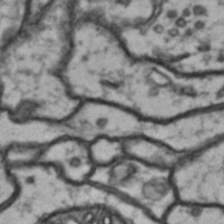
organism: Drosophila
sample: Brain